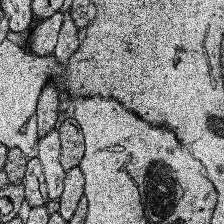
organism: Human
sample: Temporal Lobe